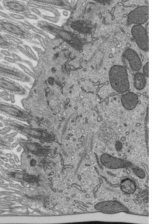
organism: Mouse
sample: Mouse epididymis efferent ductule cilia